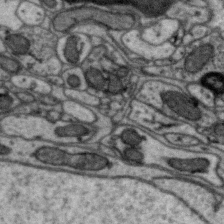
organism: Zebra finch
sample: Brain